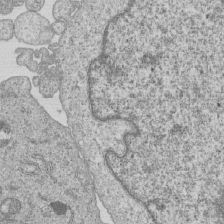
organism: Human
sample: MDA-MB-231 cells